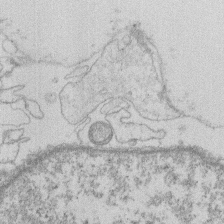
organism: Human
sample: Macrophage cells